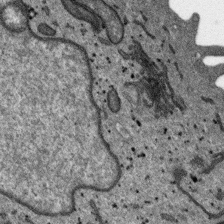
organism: Human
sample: Lung epithelial cells, uninfected (mock) control